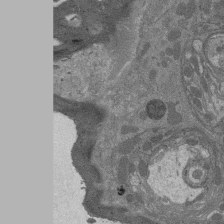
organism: Drosophila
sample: Antenna